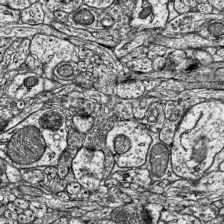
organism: Mouse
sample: Visual Cortex